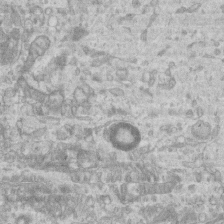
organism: Mouse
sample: Centriole in ependymal cells